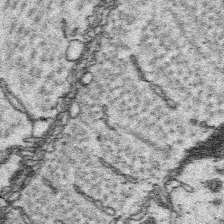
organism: Platynereis dumerilii